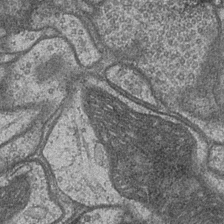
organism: Drosophila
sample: Optic medulla